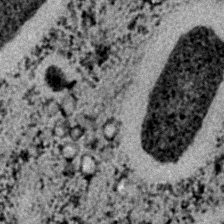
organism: C. elegans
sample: C. elegans embryo